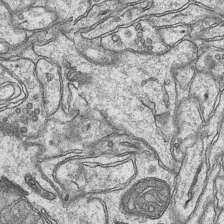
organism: Mouse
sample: CA1 Hippocampus